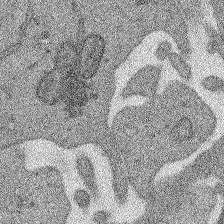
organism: Human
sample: HeLa cells